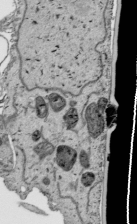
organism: Human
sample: Mitochondria in HCT116 cells